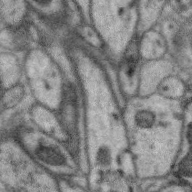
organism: Zebra finch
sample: Brain